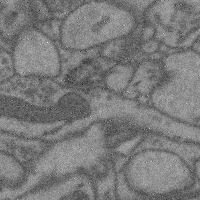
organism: Mouse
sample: Cerebral cortex